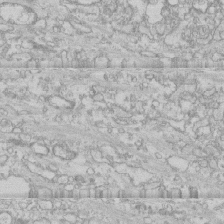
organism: Human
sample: CRL-1474